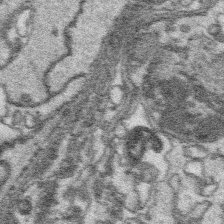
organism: Platynereis dumerilii